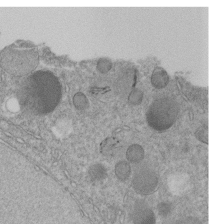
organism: C. elegans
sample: C. elegans embryo early stage